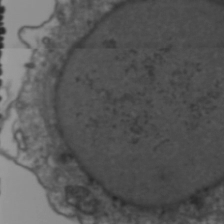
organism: Human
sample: HIV-1 Gag-iGFP